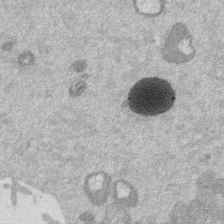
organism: Mouse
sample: Dividing mouse embryo 1 cell stage